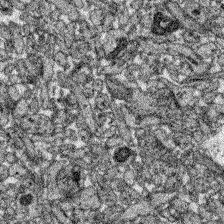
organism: Zebrafish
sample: Larval olfactory bulb